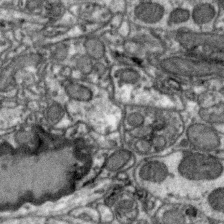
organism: Zebra finch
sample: Brain